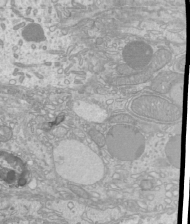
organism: Mouse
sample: Cilia; mouse epididymis